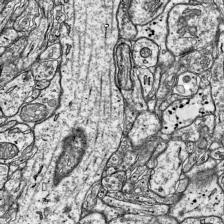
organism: Mouse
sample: Visual Cortex